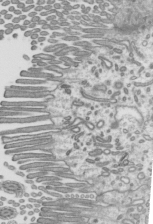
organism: Mouse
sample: Mouse epididymis efferent ductule cilia